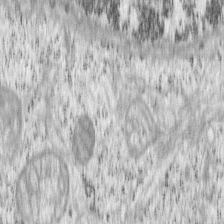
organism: Human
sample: HeLa cells